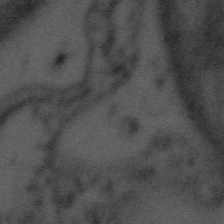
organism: Tuwongella immobilis